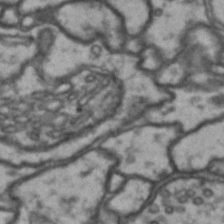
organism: Drosophila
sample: Brain